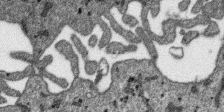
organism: Human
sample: Lung epithelial cells infected with SARS-CoV-2